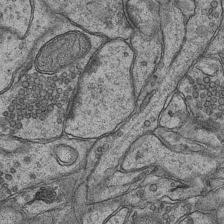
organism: Mouse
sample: CA1 Hippocampus